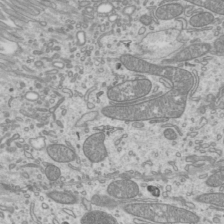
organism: Mouse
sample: Cilia; mouse epididymis